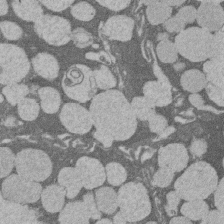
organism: Rat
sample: Salivary granule